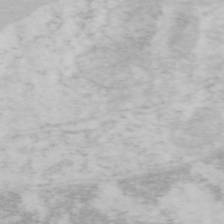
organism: Mouse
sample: OT-I killer T cells with ID8 ovarian cancer cells